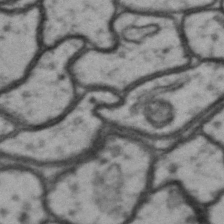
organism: Drosophila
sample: Brain